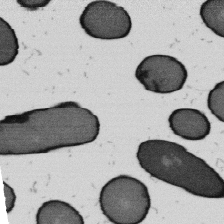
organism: B. subtilis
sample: Bacterial spore